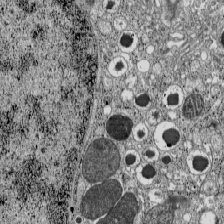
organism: C57BL Mouse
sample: Pancreatic islet